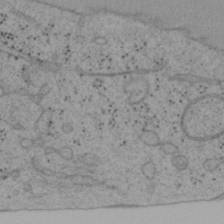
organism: Human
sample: HeLa cells